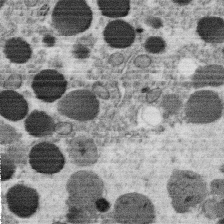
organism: C. elegans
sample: C. elegans oocyte; sperm cells